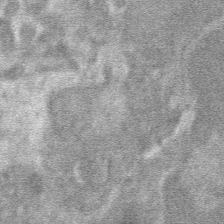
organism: Mouse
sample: Mouse hepatocytes